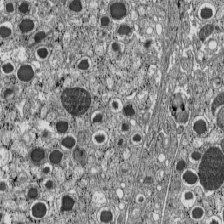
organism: C57BL Mouse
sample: Pancreatic islet